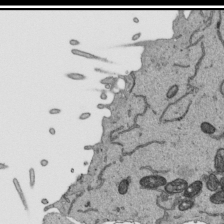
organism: Human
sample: Mitochondria in HCT116 cells